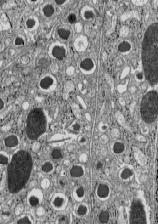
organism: C57BL Mouse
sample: Pancreatic islet